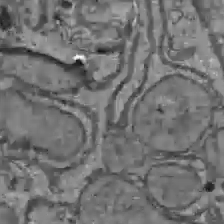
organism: C57BL Mouse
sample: Liver